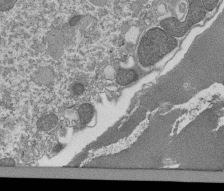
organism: Tetrahymena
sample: Cilia in tetrahymena